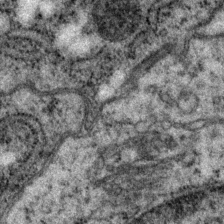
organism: P. pacificus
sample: Pharynx